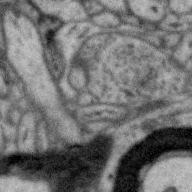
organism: Zebra finch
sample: Brain